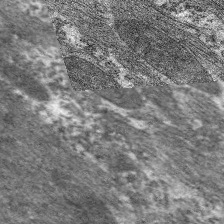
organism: C. elegans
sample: Pharynx